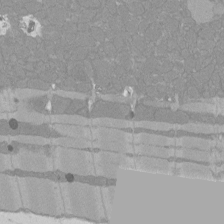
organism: Rat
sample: Left ventricle